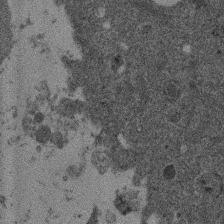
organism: Mouse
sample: Dividing mouse embryo 1 cell stage